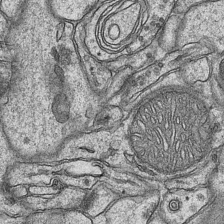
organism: Mouse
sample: CA1 Hippocampus